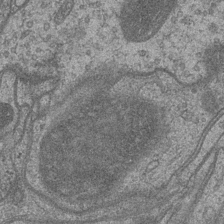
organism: Drosophila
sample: Optic medulla